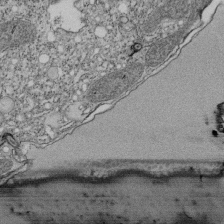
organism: Tetrahymena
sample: Cilia in tetrahymena